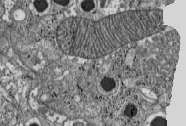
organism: C57BL Mouse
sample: Pancreatic islet